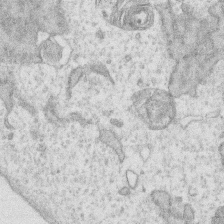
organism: Human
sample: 1205lu cells